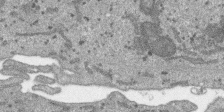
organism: Human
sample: Lung epithelial cells infected with SARS-CoV-2